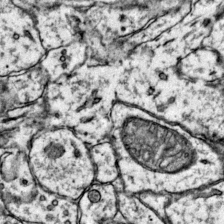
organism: Mouse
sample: Primary visual cortex